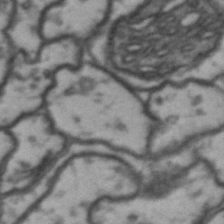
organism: Drosophila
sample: Brain